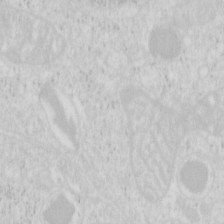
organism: Mouse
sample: Pancreas